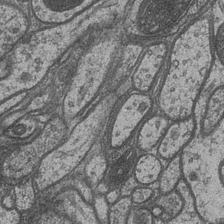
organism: Drosophila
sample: Optic medulla